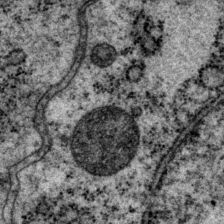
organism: P. pacificus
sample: Pharynx